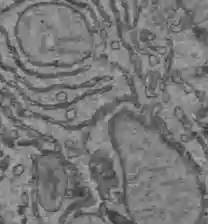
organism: C57BL Mouse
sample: Liver